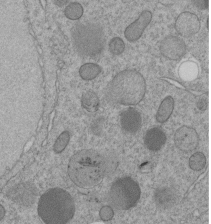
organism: C. elegans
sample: C. elegans embryo early stage